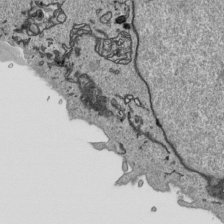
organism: Human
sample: Mitochondria in HCT116 cells